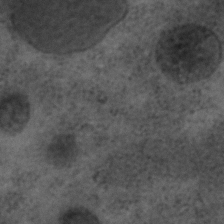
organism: C. elegans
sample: C. elegans embryo